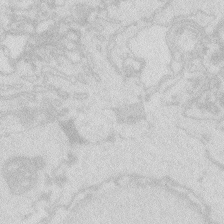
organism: Zebrafish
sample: Macrophage